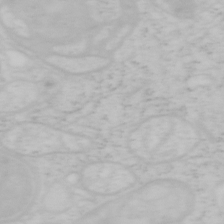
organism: Mouse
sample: OT-I killer T cells with ID8 ovarian cancer cells